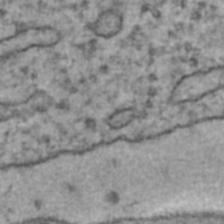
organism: Human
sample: Blood